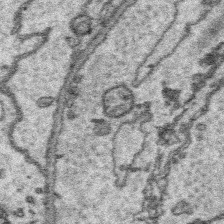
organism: Platynereis dumerilii